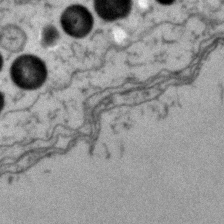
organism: Zebrafish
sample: Zebrafish embryo